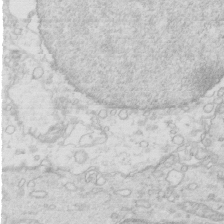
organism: Mouse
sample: Multiciliated cells